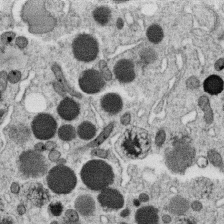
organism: C. elegans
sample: C. elegans oocyte; sperm cells